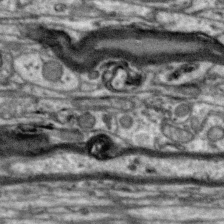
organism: Zebra finch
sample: Brain